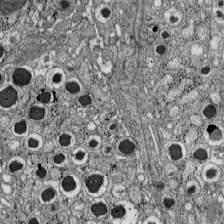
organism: C57BL Mouse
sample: Pancreatic islet